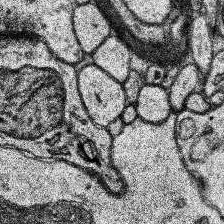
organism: Human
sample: Temporal Lobe